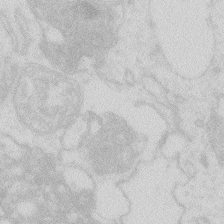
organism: Zebrafish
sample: Macrophage